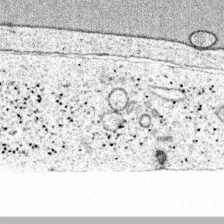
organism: Human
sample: HeLa cells